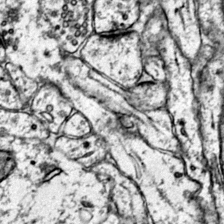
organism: Mouse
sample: Primary visual cortex